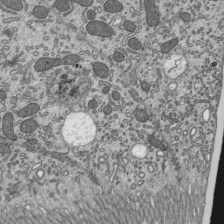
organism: Mouse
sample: Mouse epididymis efferent ductule cilia